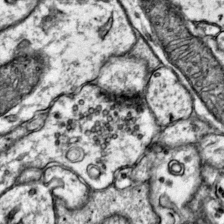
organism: Mouse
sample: Primary visual cortex